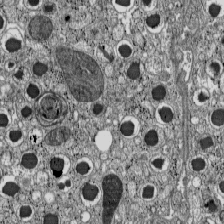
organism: C57BL Mouse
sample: Pancreatic islet